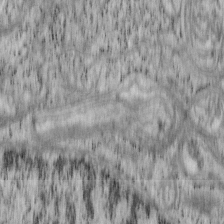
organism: Human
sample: HeLa cells